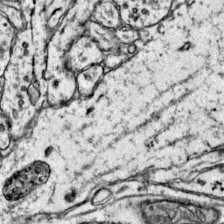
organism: Mouse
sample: Primary visual cortex